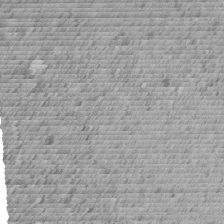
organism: C. elegans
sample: C. elegans embryo early stage